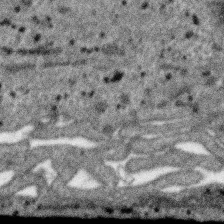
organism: Human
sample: Lung epithelial cells infected with SARS-CoV-2